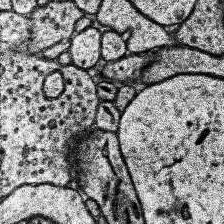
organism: Human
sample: Temporal Lobe